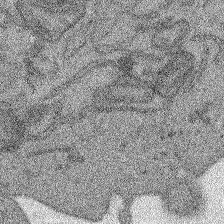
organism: Human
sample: HeLa cells